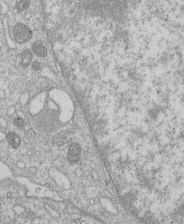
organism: Human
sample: Macrophage cells